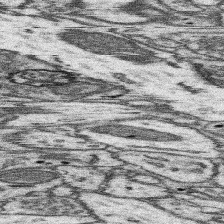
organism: Mouse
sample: Somatosensory cortex neuropil